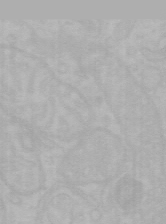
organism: Mouse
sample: Choroid plexus